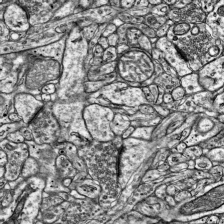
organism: Mouse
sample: Visual Cortex